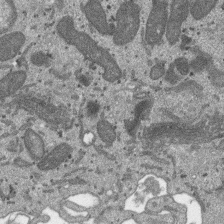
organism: Human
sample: Lung epithelial cells infected with SARS-CoV-2